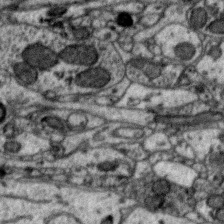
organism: Zebra finch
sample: Brain